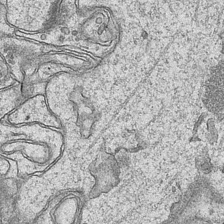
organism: Mouse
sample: CA1 Hippocampus